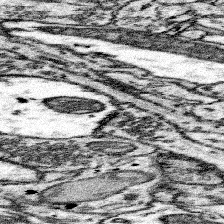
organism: Mouse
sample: Somatosensory cortex neuropil